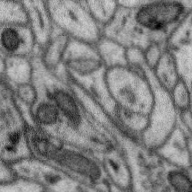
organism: Zebra finch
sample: Brain